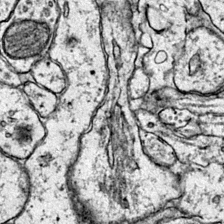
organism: Mouse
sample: Primary visual cortex